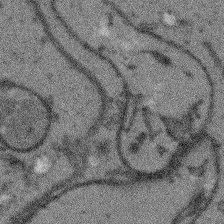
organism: Arabidopsis thaliana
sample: Root tip